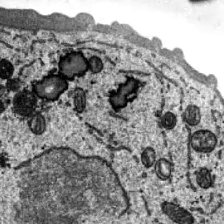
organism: Human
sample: HeLa cells